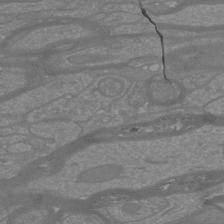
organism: Mouse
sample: Cortical neurons